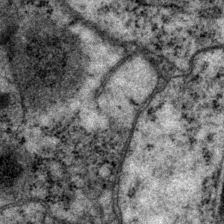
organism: P. pacificus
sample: Pharynx